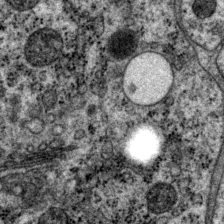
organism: P. pacificus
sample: Pharynx